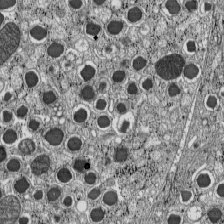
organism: C57BL Mouse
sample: Pancreatic islet